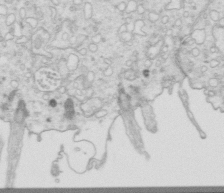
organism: Mouse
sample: Multiciliated cells